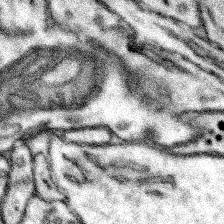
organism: Mouse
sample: Somatosensory cortex neuropil